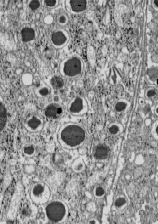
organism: C57BL Mouse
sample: Pancreatic islet